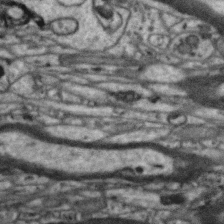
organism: Zebra finch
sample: Brain